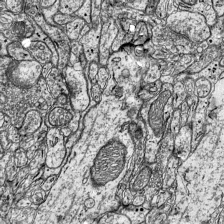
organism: Mouse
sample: Visual Cortex